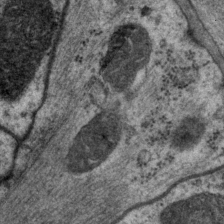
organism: P. pacificus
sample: Pharynx